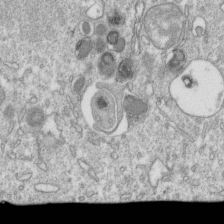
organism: Mouse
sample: Activated OT-1 CD8+ T cells